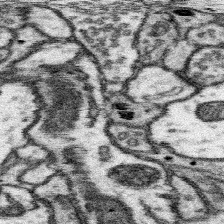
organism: Mouse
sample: Somatosensory cortex neuropil